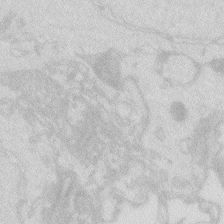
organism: Zebrafish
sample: Macrophage